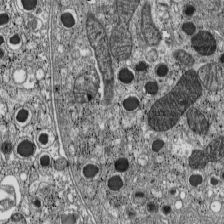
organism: C57BL Mouse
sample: Pancreatic islet